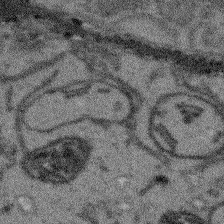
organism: Arabidopsis thaliana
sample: Root tip